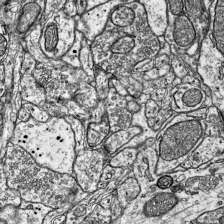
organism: Mouse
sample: Visual Cortex